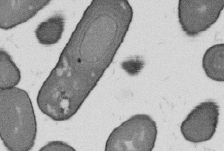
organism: B. subtilis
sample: Bacterial spore